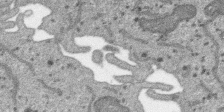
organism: Human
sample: Lung epithelial cells infected with SARS-CoV-2